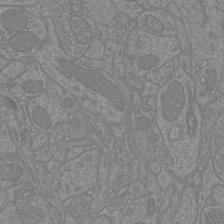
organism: Mouse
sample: Cortical neurons